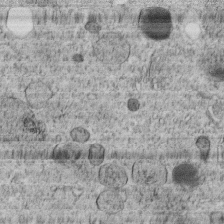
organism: C. elegans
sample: C. elegans embryo early stage